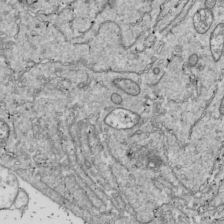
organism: Drosophila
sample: Cell division; meiosis; drosophila spermatocytes